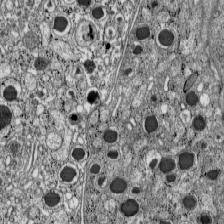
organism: C57BL Mouse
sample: Pancreatic islet